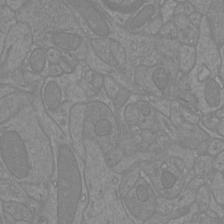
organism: Mouse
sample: Cortical neurons